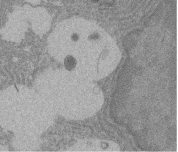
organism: Rat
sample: Salivary granule